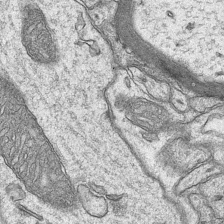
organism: Mouse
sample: CA1 Hippocampus